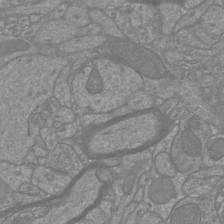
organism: Mouse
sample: Cortical neurons